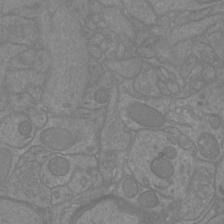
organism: Mouse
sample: Cortical neurons